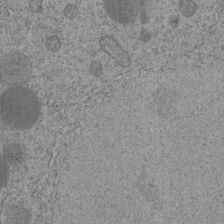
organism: C. elegans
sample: C. elegans embryo early stage